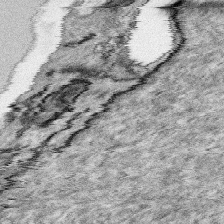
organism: Human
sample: HeLa cells